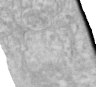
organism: Human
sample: Centriole in RPE cells